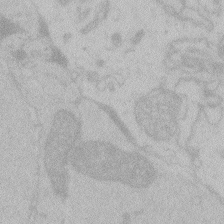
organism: Zebrafish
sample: Macrophage infected with Toxoplasma gondii